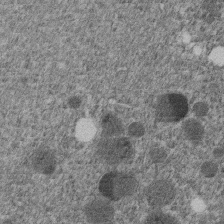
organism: C. elegans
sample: C. elegans embryo early stage